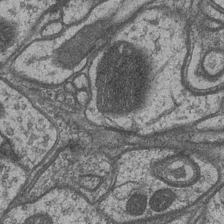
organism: Drosophila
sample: Optic medulla